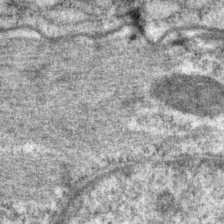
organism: P. pacificus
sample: Pharynx